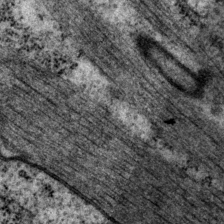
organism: P. pacificus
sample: Pharynx